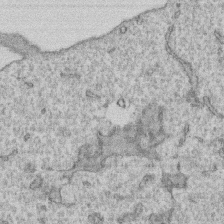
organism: Human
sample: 1205lu cells